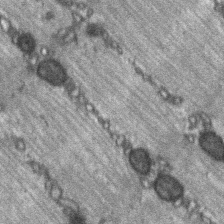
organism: C57BL Mouse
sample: Soleus